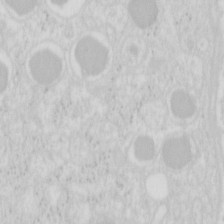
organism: Mouse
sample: Pancreas